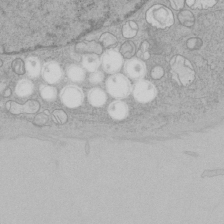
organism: Human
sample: Mitochondria in HCT116 cells